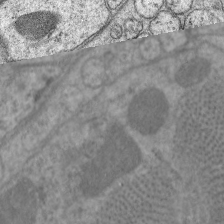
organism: C. elegans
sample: Pharynx